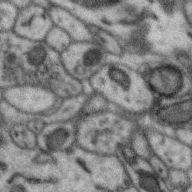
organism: Zebra finch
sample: Brain